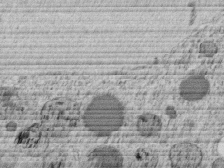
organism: C. elegans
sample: C. elegans embryo early stage